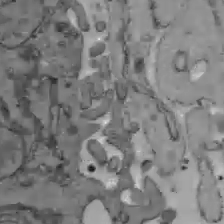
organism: C57BL Mouse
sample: Liver